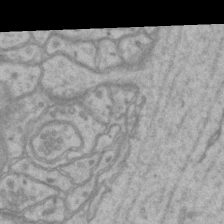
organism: Mouse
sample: CA1 Hippocampus